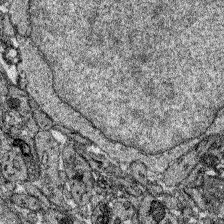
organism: Zebrafish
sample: Larval olfactory bulb